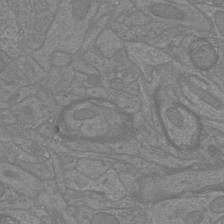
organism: Mouse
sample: Cortical neurons